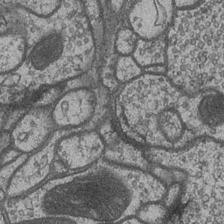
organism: Drosophila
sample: Optic medulla